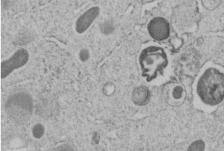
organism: C. elegans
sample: C. elegans embryo early stage